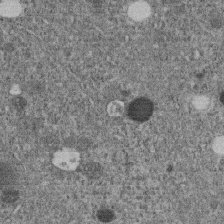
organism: C. elegans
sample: C. elegans embryo early stage